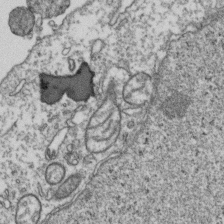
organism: Human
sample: Activated Jurkat CD4+ T cells